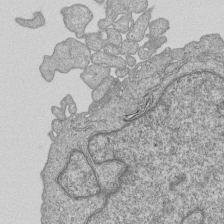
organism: Human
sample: MDA-MB-231 cells